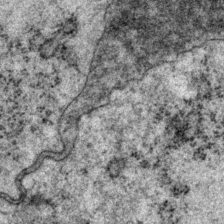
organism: P. pacificus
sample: Pharynx